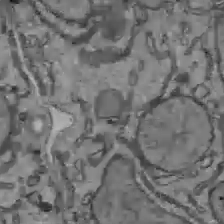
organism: C57BL Mouse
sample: Liver